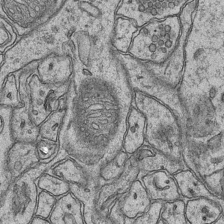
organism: Mouse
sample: CA1 Hippocampus